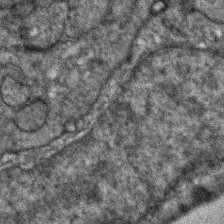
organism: Zebrafish